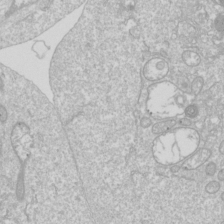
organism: Drosophila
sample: Cell division; meiosis; drosophila spermatocytes